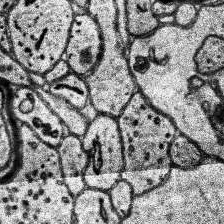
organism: Human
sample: Temporal Lobe